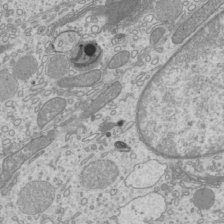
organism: Mouse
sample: Cilia; mouse epididymis